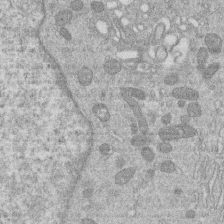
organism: Human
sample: Macrophage cells